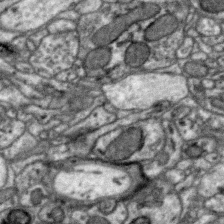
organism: Zebra finch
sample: Brain